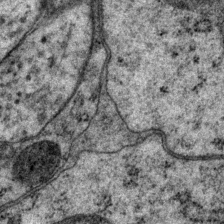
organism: P. pacificus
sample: Pharynx